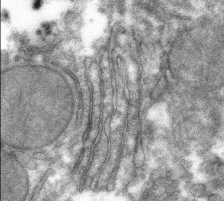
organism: Mouse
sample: Mouse hepatocytes